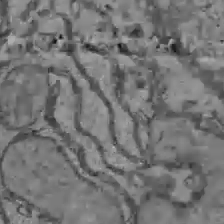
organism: C57BL Mouse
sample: Liver